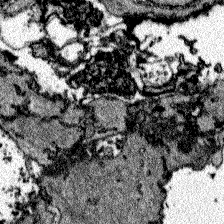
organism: Zebrafish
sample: Larval olfactory bulb